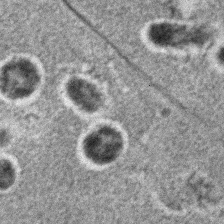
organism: C. elegans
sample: C. elegans embryo